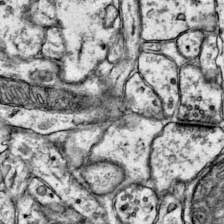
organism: Mouse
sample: Primary visual cortex